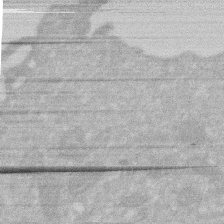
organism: Human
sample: HIV infected U937 cells